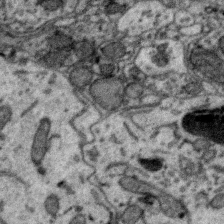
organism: Zebra finch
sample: Brain